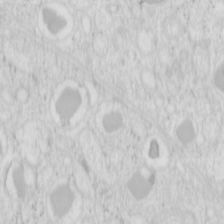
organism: Mouse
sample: Pancreas